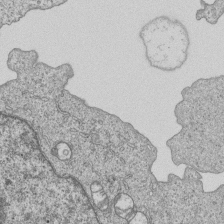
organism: Human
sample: MDA-MB-231 cells